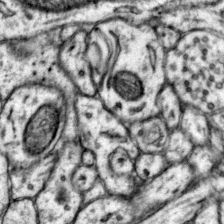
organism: Mouse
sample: Primary visual cortex